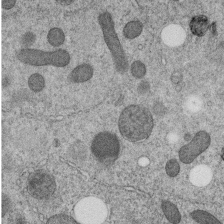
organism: C. elegans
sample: C. elegans embryo early stage